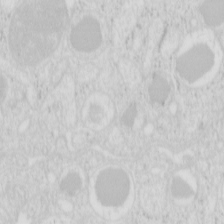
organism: Mouse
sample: Pancreas